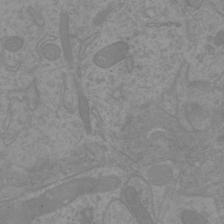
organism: Mouse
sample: Cortical neurons